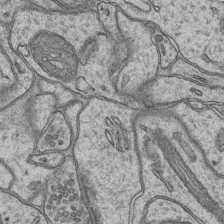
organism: Mouse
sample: CA1 Hippocampus